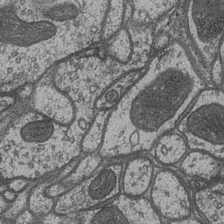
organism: Drosophila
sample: Optic medulla